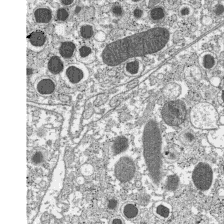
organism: C57BL Mouse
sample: Pancreatic islet